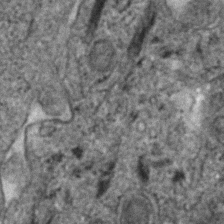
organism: Human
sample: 1205lu cells